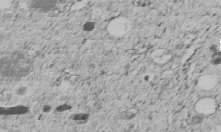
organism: C. elegans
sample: C. elegans embryo early stage